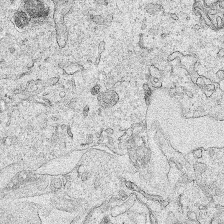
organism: Human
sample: Mitochondria in HCT116 cells